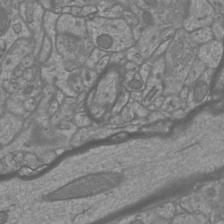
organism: Mouse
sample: Cortical neurons